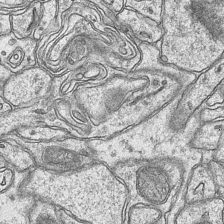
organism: Mouse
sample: CA1 Hippocampus